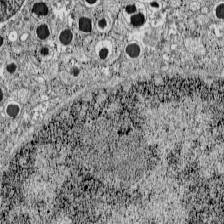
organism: C57BL Mouse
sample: Pancreatic islet